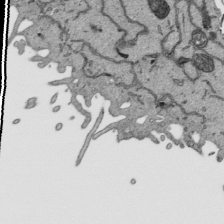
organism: Human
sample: Mitochondria in HCT116 cells